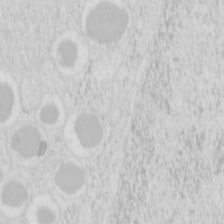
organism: Mouse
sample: Pancreas